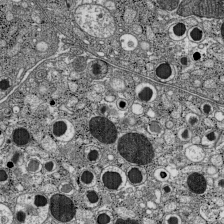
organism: C57BL Mouse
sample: Pancreatic islet